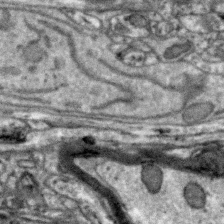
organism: Zebra finch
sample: Brain